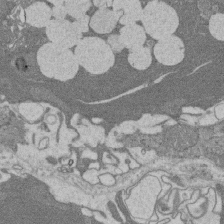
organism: Rat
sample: Salivary granule